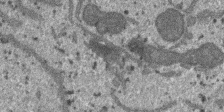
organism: Human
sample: Lung epithelial cells infected with SARS-CoV-2